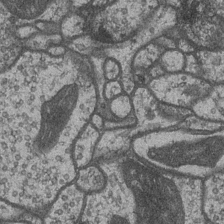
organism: Drosophila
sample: Optic medulla